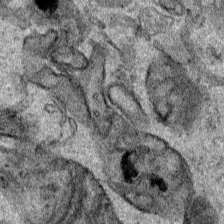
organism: Human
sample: Mitochondria in HCT116 cells